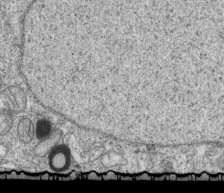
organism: Human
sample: HeLa cell HIV synapse